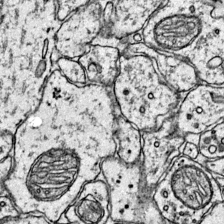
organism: Mouse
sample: Primary visual cortex